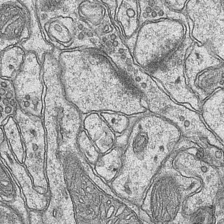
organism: Mouse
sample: CA1 Hippocampus